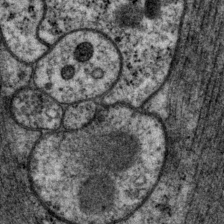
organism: P. pacificus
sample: Pharynx